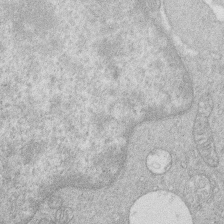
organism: Human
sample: Macrophage cells